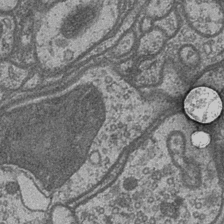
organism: Drosophila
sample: Optic medulla